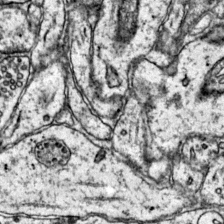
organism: Mouse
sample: Primary visual cortex